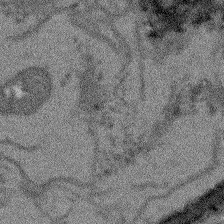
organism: Arabidopsis thaliana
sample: Root tip